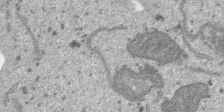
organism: Human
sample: Lung epithelial cells infected with SARS-CoV-2